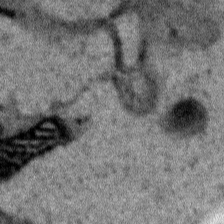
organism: Human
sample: Mitochondria in HCT116 cells